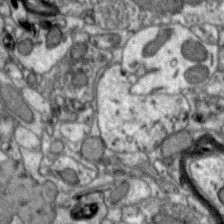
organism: Zebra finch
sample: Brain